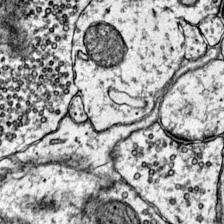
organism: Mouse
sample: Primary visual cortex